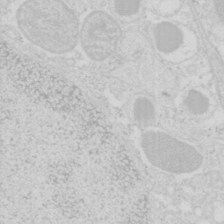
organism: Mouse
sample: Pancreas